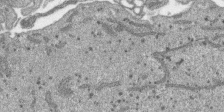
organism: Human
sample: Lung epithelial cells infected with SARS-CoV-2